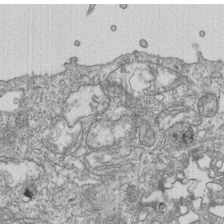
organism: Human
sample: HeLa cell HIV synapse